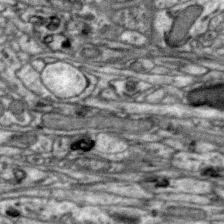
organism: Zebra finch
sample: Brain